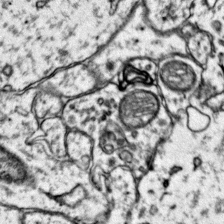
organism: Mouse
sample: Primary visual cortex